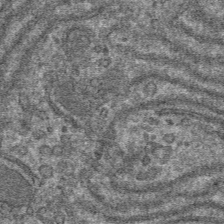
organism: Mouse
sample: Mouse hepatocytes